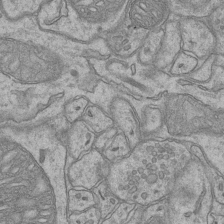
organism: Mouse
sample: CA1 Hippocampus